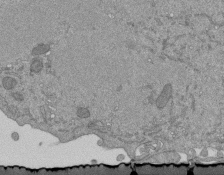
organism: Mouse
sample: ED-1 cell nuclei; centrioles